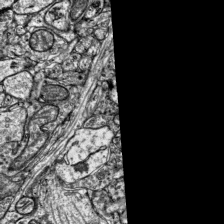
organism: Mouse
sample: Visual Cortex